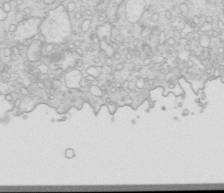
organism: Mouse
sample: Multiciliated cells